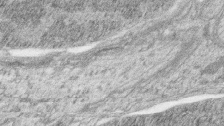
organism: Zebrafish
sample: synaptic ribbons in rod cells and cone cells